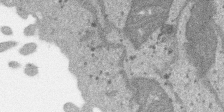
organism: Human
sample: Lung epithelial cells infected with SARS-CoV-2